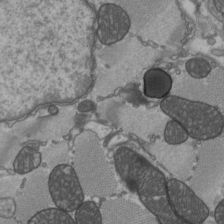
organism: C57BL Mouse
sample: Heart